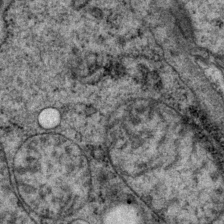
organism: P. pacificus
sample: Pharynx